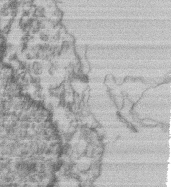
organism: Mouse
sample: T cell stromal cell synapse